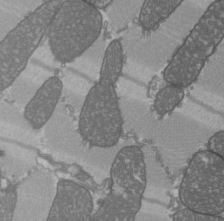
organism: C57BL Mouse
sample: Heart